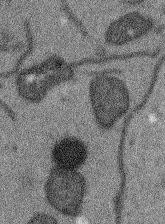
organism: Arabidopsis thaliana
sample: Root tip